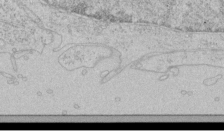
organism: Human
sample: Mitochondria in HCT116 cells